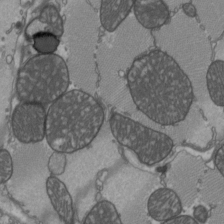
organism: C57BL Mouse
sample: Heart